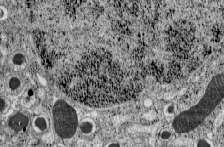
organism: C57BL Mouse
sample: Pancreatic islet